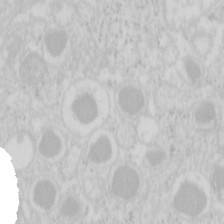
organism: Mouse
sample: Pancreas